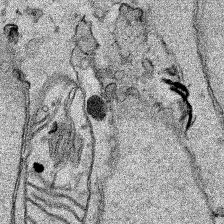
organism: Human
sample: Mitochondria in HCT116 cells